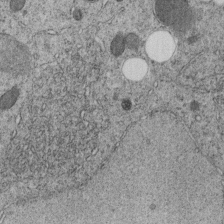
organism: C. elegans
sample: C. elegans embryo early stage